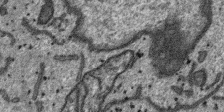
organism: Human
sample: Lung epithelial cells, uninfected (mock) control